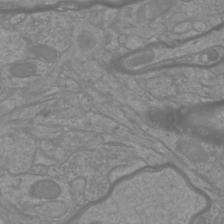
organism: Mouse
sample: Cortical neurons